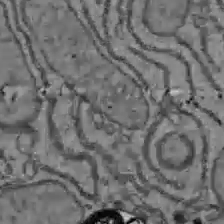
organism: C57BL Mouse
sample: Liver